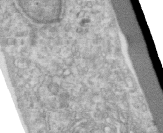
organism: Human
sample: Centriole in RPE cells